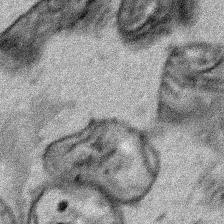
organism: Human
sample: Mitochondria in HCT116 cells